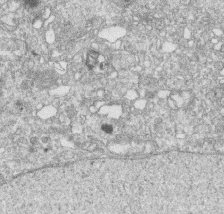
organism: Human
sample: HeLa cell HIV synapse